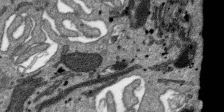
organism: Human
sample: Lung epithelial cells, uninfected (mock) control